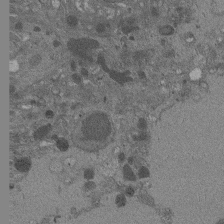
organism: Drosophila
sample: Antenna